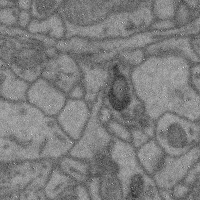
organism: Mouse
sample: Cerebral cortex